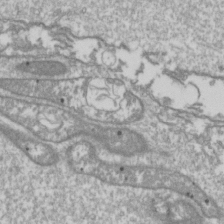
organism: Drosophila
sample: Cell division; meiosis; drosophila spermatocytes